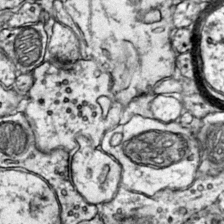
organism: Mouse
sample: Primary visual cortex